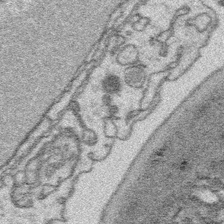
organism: Platynereis dumerilii